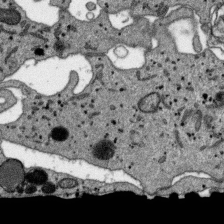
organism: Human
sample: Lung epithelial cells, uninfected (mock) control